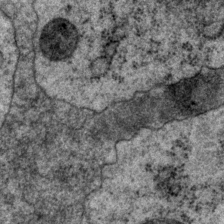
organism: P. pacificus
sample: Pharynx